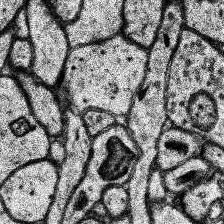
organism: Human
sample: Temporal Lobe